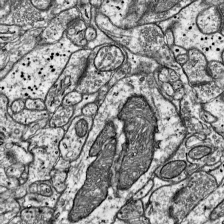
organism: Mouse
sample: Visual Cortex